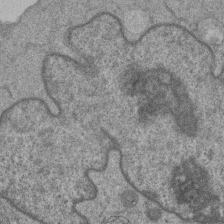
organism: Human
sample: MDA-MB-231 cells